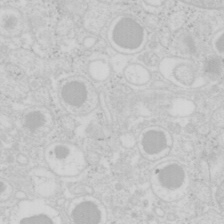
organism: Mouse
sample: Pancreas